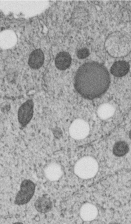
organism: C. elegans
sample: C. elegans embryo early stage